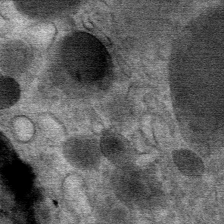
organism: Mouse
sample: Mouse Salivary gland